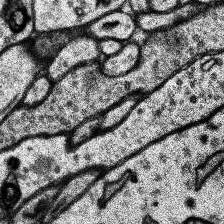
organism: Human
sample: Temporal Lobe